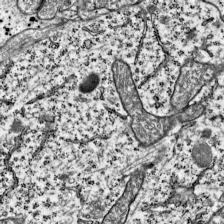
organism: Mouse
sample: Visual Cortex